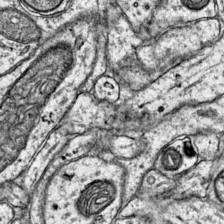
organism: Mouse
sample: Primary visual cortex